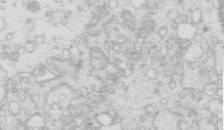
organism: Mouse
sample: Multiciliated cells